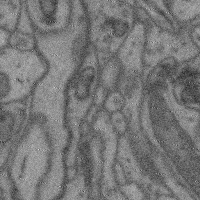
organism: Mouse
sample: Cerebral cortex